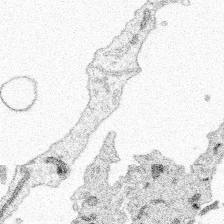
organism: Spongilla lacustris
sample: Multiple